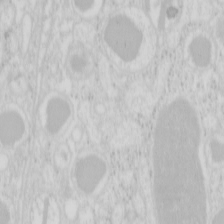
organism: Mouse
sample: Pancreas